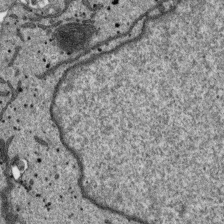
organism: Human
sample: Lung epithelial cells, uninfected (mock) control